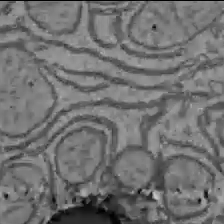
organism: C57BL Mouse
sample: Liver